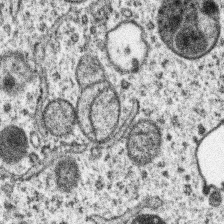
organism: Human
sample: HeLa cells